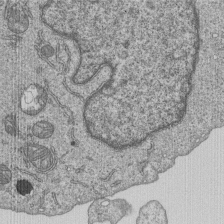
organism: Human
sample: MDA-MB-231 cells